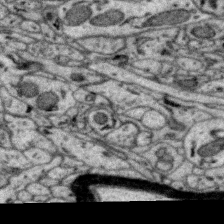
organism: Zebra finch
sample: Brain